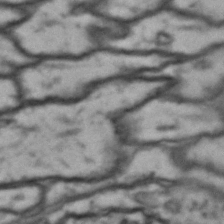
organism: Drosophila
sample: Brain